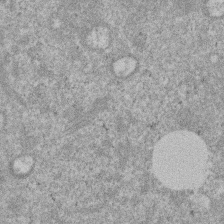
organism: Mouse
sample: Dividing mouse embryo 1 cell stage